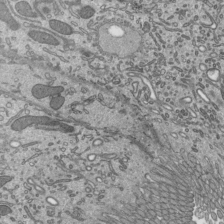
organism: Mouse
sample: Mouse epididymis efferent ductule cilia